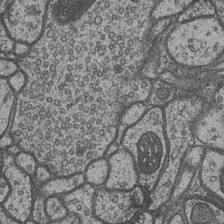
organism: Drosophila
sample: Optic medulla